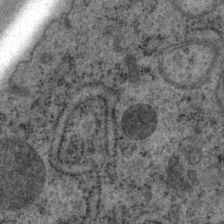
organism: P. pacificus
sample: Pharynx